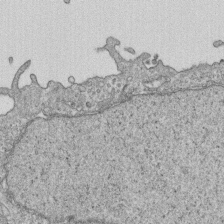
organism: Human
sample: HeLa cell HIV synapse